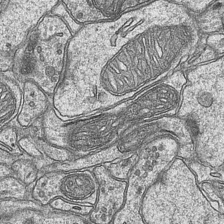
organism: Mouse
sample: CA1 Hippocampus